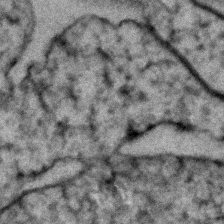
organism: Zebrafish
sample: Zebrafish embryo